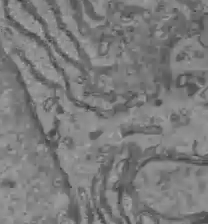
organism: C57BL Mouse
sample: Liver